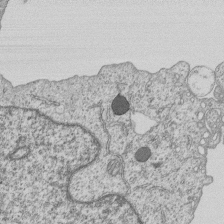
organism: Human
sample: MDA-MB-231 cells